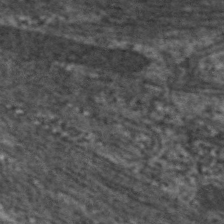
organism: C. elegans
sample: Pharynx